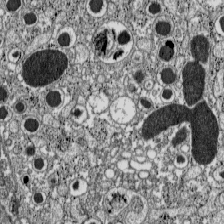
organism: C57BL Mouse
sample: Pancreatic islet